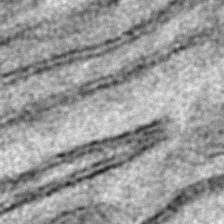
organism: C. elegans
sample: C. elegans embryo